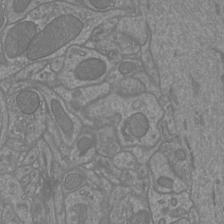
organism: Mouse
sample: Cortical neurons